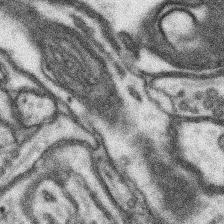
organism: Mouse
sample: Somatosensory cortex neuropil